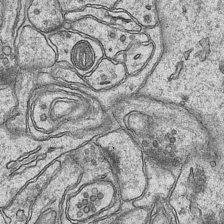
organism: Mouse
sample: CA1 Hippocampus